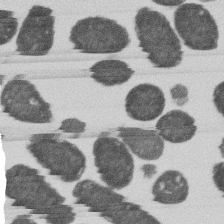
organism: E. coli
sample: Bacterial nucleoid